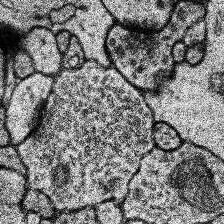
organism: Human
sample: Temporal Lobe